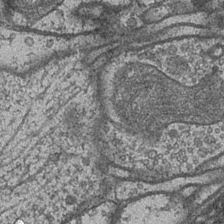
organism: Drosophila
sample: Optic medulla